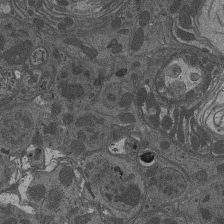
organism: Drosophila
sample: Antenna